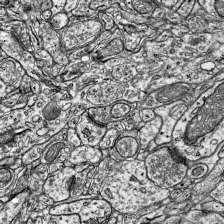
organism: Mouse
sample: Visual Cortex